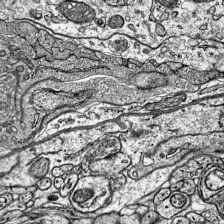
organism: Mouse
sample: Visual Cortex